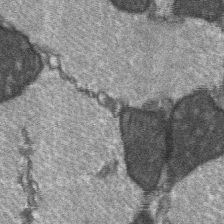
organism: C57BL Mouse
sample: Soleus